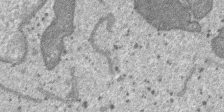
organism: Human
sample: Lung epithelial cells infected with SARS-CoV-2